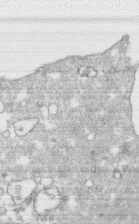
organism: Human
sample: CRL-1474